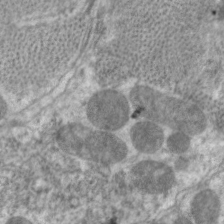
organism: C. elegans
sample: Pharynx